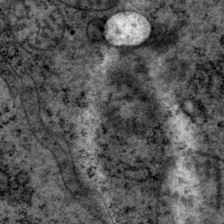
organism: P. pacificus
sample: Pharynx